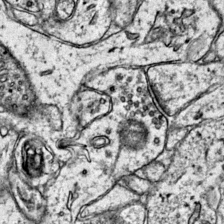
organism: Mouse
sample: Primary visual cortex